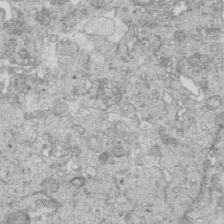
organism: Mouse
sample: Multiciliated cells